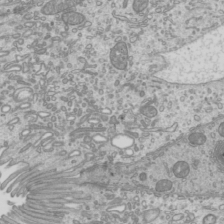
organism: Mouse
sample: Cilia; mouse epididymis